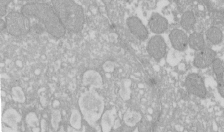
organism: Xenopus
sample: Cilia; centrioles in frog embryo cells